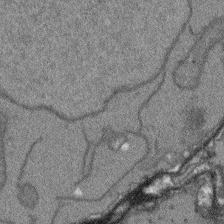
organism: Arabidopsis thaliana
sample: Root tip